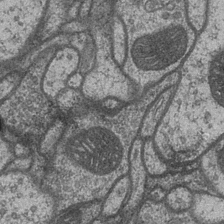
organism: Drosophila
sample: Optic medulla